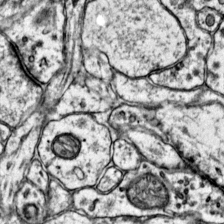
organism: Mouse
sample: Primary visual cortex